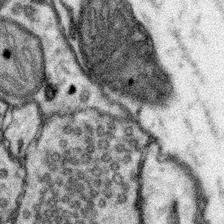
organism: Mouse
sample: Somatosensory cortex neuropil